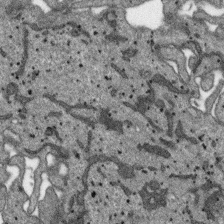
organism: Human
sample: Lung epithelial cells, uninfected (mock) control